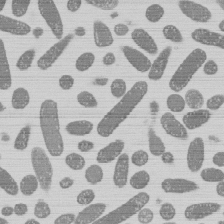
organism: E. coli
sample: Bacterial nucleoid